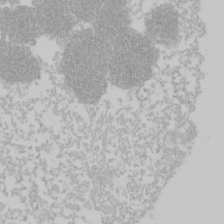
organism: Mouse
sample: Cancer cell death in ED-1 cells